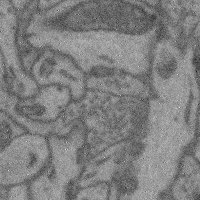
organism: Mouse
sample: Cerebral cortex